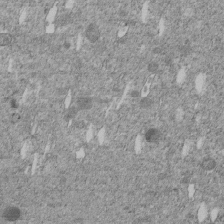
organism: C. elegans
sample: C. elegans embryo early stage